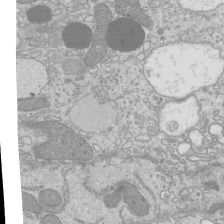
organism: Mouse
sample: Cilia; mouse epididymis